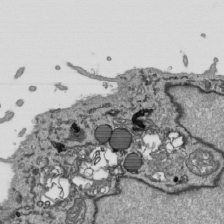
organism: Human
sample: Mitochondria in HCT116 cells